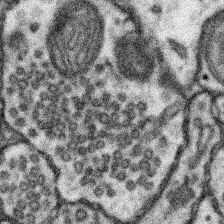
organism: Mouse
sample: Somatosensory cortex neuropil